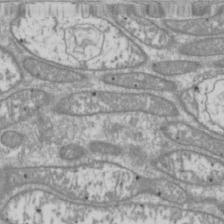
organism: Drosophila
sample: Cell division; meiosis; drosophila spermatocytes